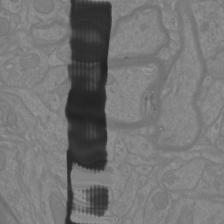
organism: Mouse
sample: Cortical neurons